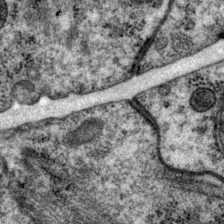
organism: P. pacificus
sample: Pharynx